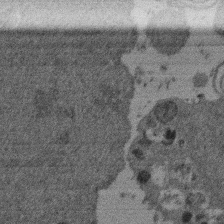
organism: Mouse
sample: Dividing mouse embryo 1 cell stage